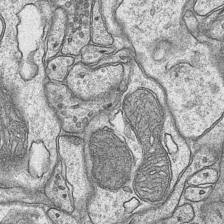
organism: Mouse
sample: CA1 Hippocampus